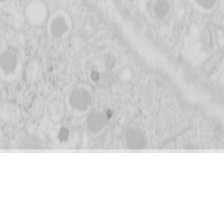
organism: Mouse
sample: Pancreas